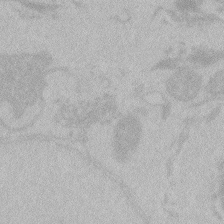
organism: Zebrafish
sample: Macrophage infected with Toxoplasma gondii